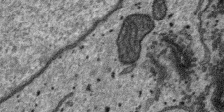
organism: Human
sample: Lung epithelial cells, uninfected (mock) control